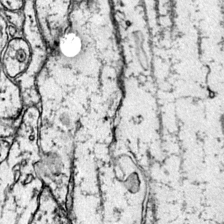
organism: Mouse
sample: Primary visual cortex